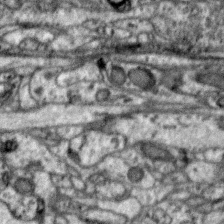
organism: Zebra finch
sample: Brain